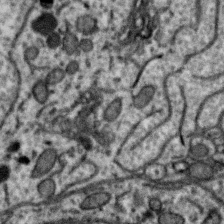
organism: Zebra finch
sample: Brain